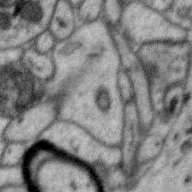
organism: Zebra finch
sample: Brain